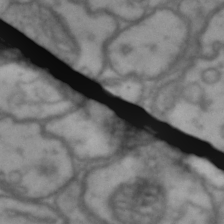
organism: Drosophila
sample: Brain